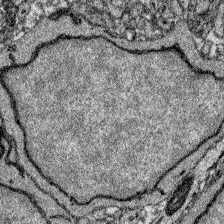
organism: Zebrafish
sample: Larval olfactory bulb